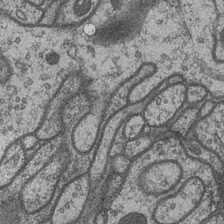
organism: Drosophila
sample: Optic medulla